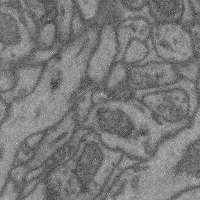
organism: Mouse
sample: Cerebral cortex